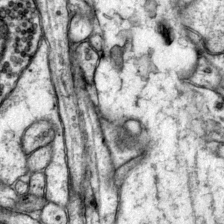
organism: Mouse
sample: Primary visual cortex